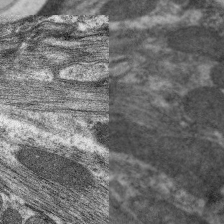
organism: C. elegans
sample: Pharynx